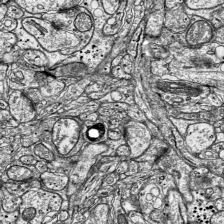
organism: Mouse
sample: Visual Cortex